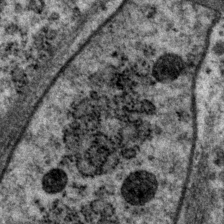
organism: P. pacificus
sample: Pharynx